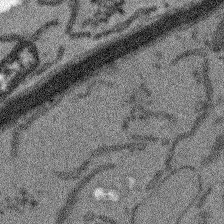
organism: Arabidopsis thaliana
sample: Root tip